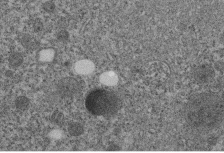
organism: C. elegans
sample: C. elegans embryo early stage